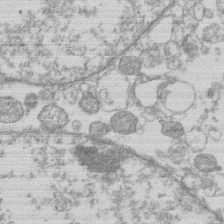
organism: Human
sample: Macrophage cells